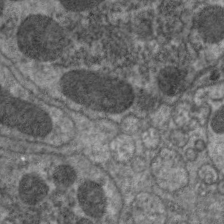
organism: C. elegans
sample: Pharynx